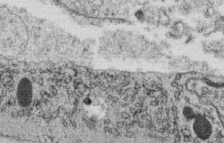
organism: C. elegans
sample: C. elegans oocyte; sperm cells